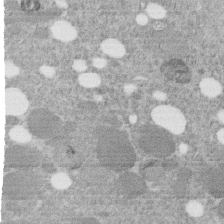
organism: C. elegans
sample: C. elegans embryo early stage